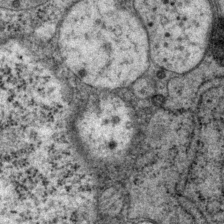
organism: P. pacificus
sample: Pharynx